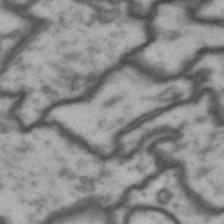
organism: Drosophila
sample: Brain